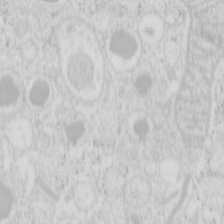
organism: Mouse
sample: Pancreas